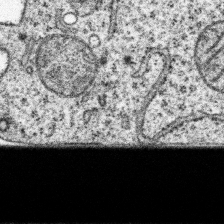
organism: Human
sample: HeLa cells